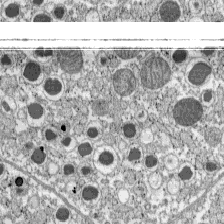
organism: C57BL Mouse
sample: Pancreatic islet